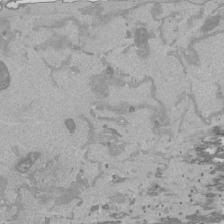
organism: Human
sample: Mitochondria in HCT116 cells